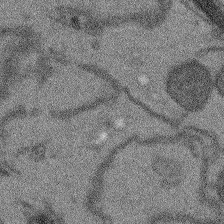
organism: Arabidopsis thaliana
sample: Root tip